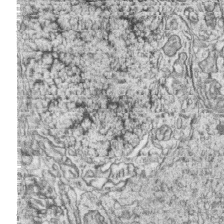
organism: Zebrafish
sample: synaptic ribbons in rod cells and cone cells